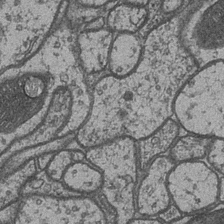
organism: Drosophila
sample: Optic medulla